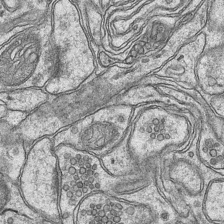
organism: Mouse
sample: CA1 Hippocampus